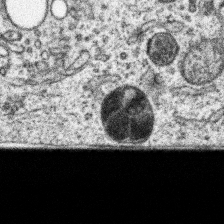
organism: Human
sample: HeLa cells